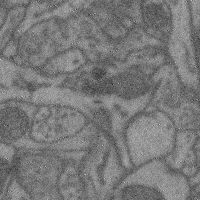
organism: Mouse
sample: Cerebral cortex